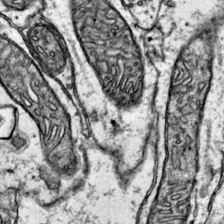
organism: Mouse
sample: Primary visual cortex